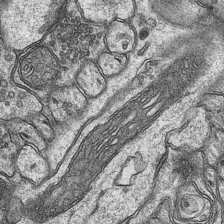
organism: Mouse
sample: CA1 Hippocampus